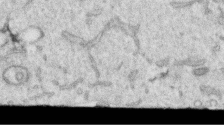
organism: Human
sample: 1205lu cells